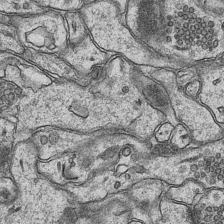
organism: Mouse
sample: CA1 Hippocampus